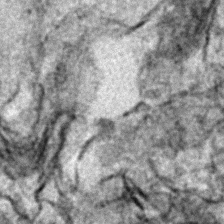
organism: Zebrafish